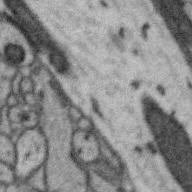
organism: Zebra finch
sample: Brain